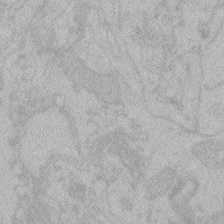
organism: Zebrafish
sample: Macrophage infected with Toxoplasma gondii